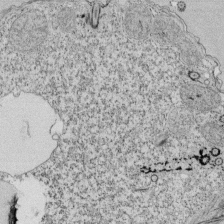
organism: Tetrahymena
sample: Cilia in tetrahymena